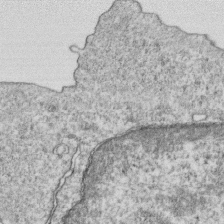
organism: Mouse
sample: Activated OT-1 CD8+ T cells